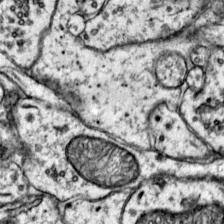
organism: Mouse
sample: Primary visual cortex